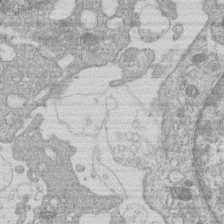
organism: Human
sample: Macrophage cells